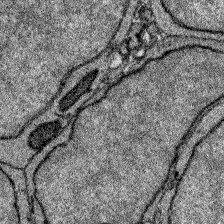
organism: Zebrafish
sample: Larval olfactory bulb